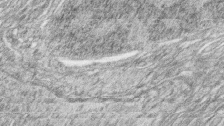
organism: Zebrafish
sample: synaptic ribbons in rod cells and cone cells